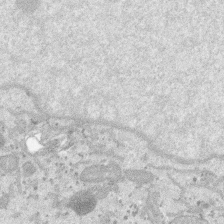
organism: Human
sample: Lung epithelial cells infected with SARS-CoV-2